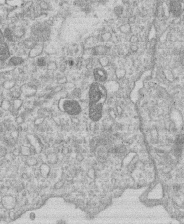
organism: Human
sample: Macrophage cells